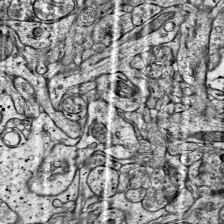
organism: Mouse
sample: Visual Cortex